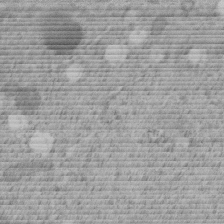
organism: C. elegans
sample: C. elegans embryo early stage